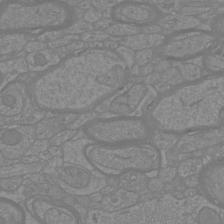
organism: Mouse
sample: Cortical neurons